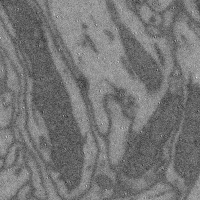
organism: Mouse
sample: Cerebral cortex